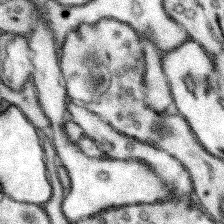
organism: Mouse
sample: Somatosensory cortex neuropil